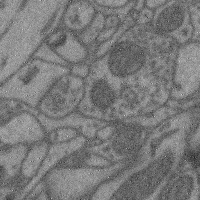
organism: Mouse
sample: Cerebral cortex